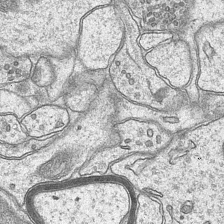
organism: Mouse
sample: CA1 Hippocampus